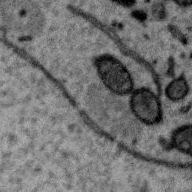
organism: Zebra finch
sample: Brain